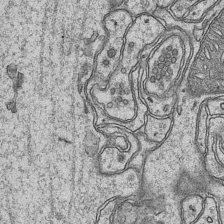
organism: Mouse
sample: CA1 Hippocampus